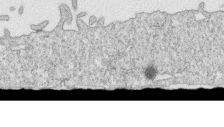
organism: Human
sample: HeLa cell HIV synapse